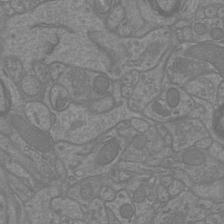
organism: Mouse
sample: Cortical neurons